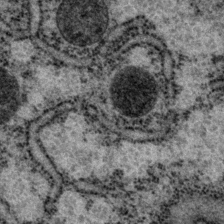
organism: P. pacificus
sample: Pharynx